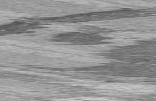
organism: C57BL Mouse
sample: Heart